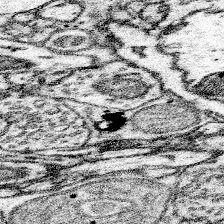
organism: Mouse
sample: Somatosensory cortex neuropil